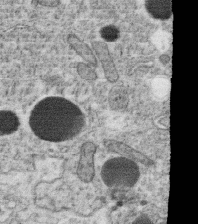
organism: C. elegans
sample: C. elegans oocyte; sperm cells